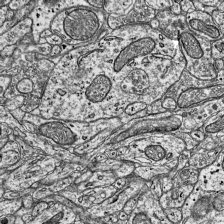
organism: Mouse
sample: Visual Cortex